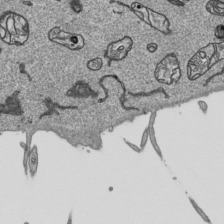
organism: Human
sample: Mitochondria in HCT116 cells